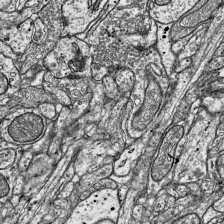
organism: Mouse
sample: Visual Cortex